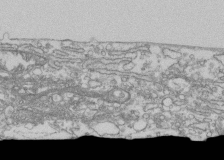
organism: Human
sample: Fibroblast cells